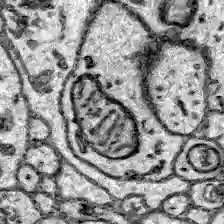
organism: Zebrafish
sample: Brain